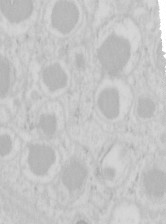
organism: Mouse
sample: Pancreas